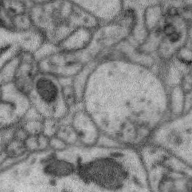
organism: Zebra finch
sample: Brain